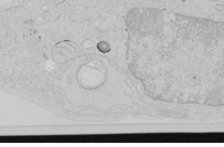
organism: Human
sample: Mitochondria in HCT116 cells